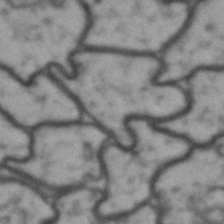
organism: Drosophila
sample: Brain